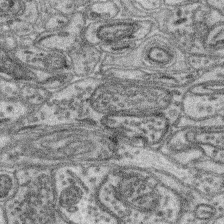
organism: Mouse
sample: Retina